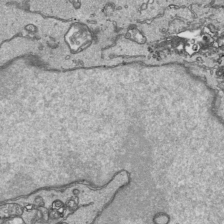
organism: Human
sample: Mitochondria in HCT116 cells